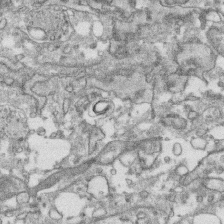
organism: Human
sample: CRL-1474